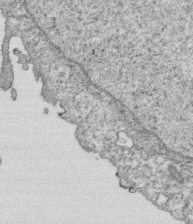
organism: Human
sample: HeLa cell HIV synapse